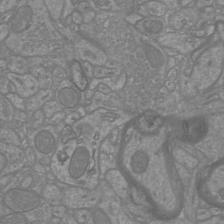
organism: Mouse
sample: Cortical neurons